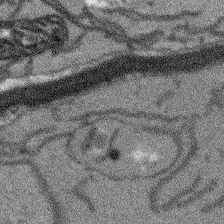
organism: Arabidopsis thaliana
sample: Root tip